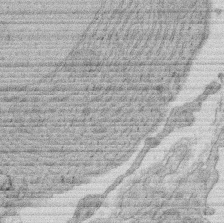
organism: Rat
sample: Salivary granule